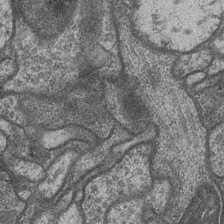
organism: Drosophila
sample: Optic medulla